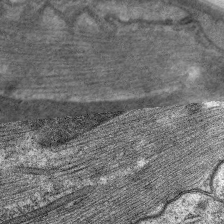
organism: C. elegans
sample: Pharynx